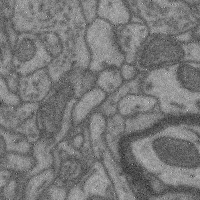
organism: Mouse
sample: Cerebral cortex